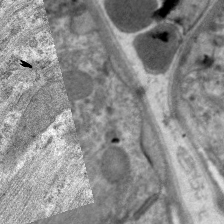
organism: C. elegans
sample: Pharynx